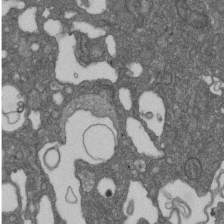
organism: Drosophila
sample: Nephrocyte